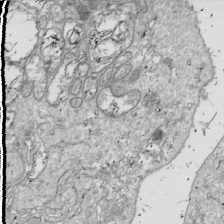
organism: Drosophila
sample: Cell division; meiosis; drosophila spermatocytes